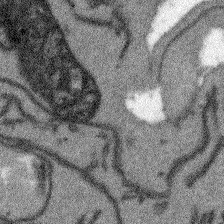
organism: Arabidopsis thaliana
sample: Root tip